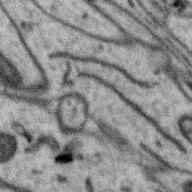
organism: Zebra finch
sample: Brain